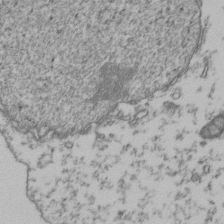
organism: Human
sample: Activated Jurkat CD4+ T cells